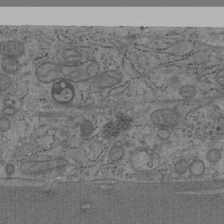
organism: Human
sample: HeLa cells